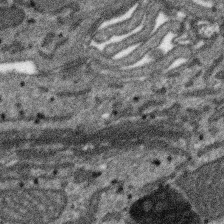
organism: Human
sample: Lung epithelial cells infected with SARS-CoV-2